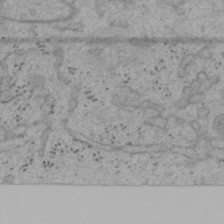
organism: Human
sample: HeLa cells